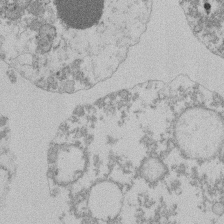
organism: Mouse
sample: Activated Pmel transgenic CD8+ T Cells